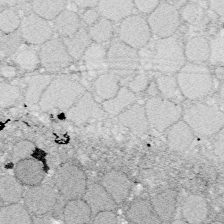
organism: Zebrafish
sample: Whole-Brain